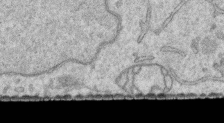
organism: Human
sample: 1205lu cells